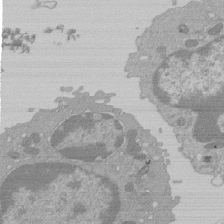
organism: Mouse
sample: Activated Pmel transgenic CD8+ T Cells